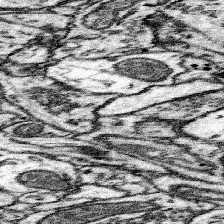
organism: Mouse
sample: Somatosensory cortex neuropil